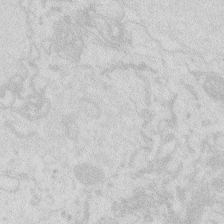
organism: Zebrafish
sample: Macrophage